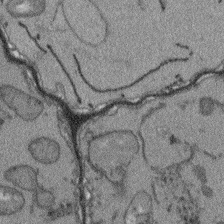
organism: Arabidopsis thaliana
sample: Root tip